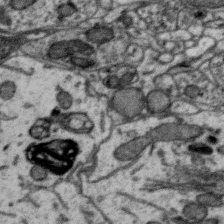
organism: Zebra finch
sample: Brain